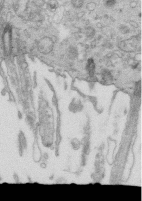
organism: Mouse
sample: Multiciliated cells